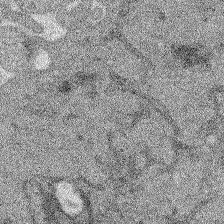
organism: Human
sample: HeLa cells